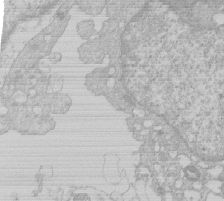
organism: Human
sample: Macrophage cells